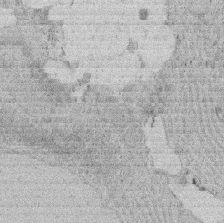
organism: Rat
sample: Salivary granule